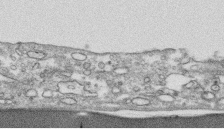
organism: Human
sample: CRL-1474